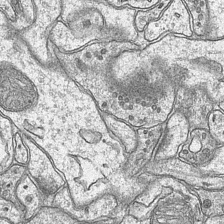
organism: Mouse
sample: CA1 Hippocampus